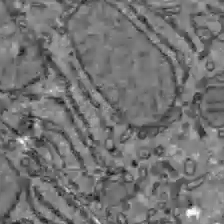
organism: C57BL Mouse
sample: Liver